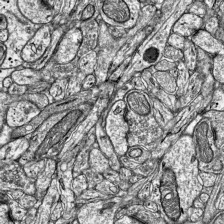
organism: Mouse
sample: Visual Cortex